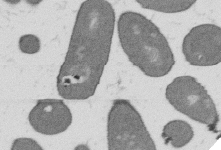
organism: B. subtilis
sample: Bacterial spore